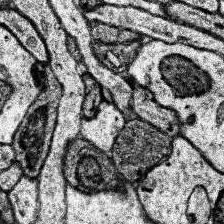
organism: Human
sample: Temporal Lobe